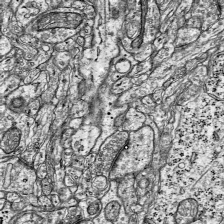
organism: Mouse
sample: Visual Cortex